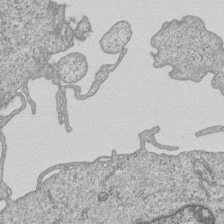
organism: Human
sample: MDA-MB-231 cells